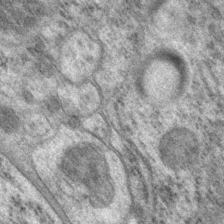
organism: P. pacificus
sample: Pharynx